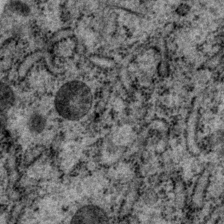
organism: P. pacificus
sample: Pharynx